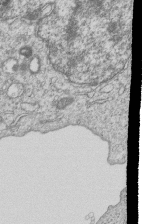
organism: Human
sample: MDA-MB-231 cells